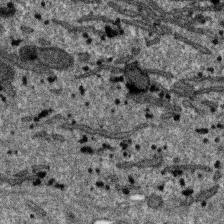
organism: Human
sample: Lung epithelial cells infected with SARS-CoV-2